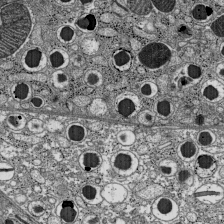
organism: C57BL Mouse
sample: Pancreatic islet